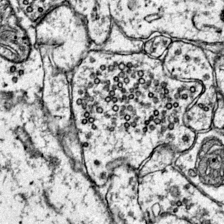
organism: Mouse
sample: Primary visual cortex